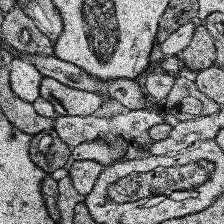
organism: Human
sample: Temporal Lobe